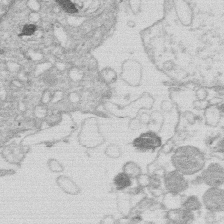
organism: Human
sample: Macrophage cells